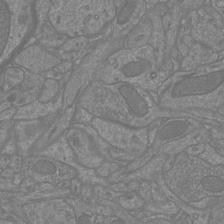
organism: Mouse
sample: Cortical neurons